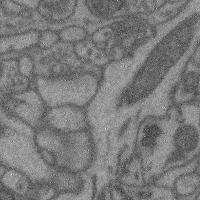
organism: Mouse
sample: Cerebral cortex